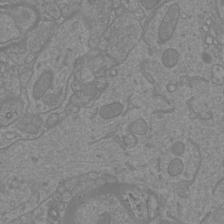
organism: Mouse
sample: Cortical neurons